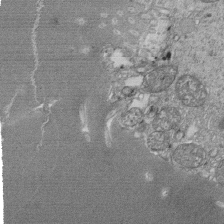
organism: Tetrahymena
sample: Cilia in tetrahymena